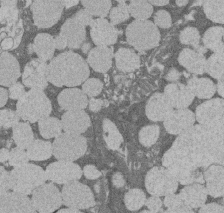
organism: Rat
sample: Salivary granule